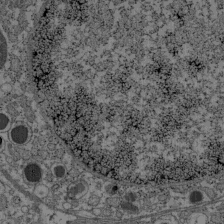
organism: C57BL Mouse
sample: Pancreatic islet